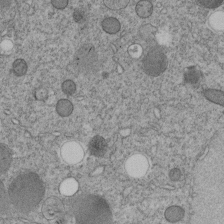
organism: C. elegans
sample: C. elegans embryo early stage